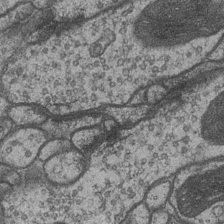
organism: Drosophila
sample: Optic medulla